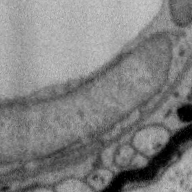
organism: Zebra finch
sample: Brain